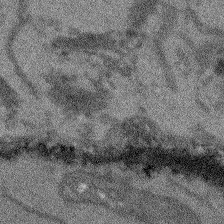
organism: Arabidopsis thaliana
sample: Root tip